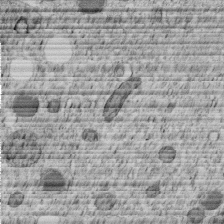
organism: C. elegans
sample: C. elegans embryo early stage